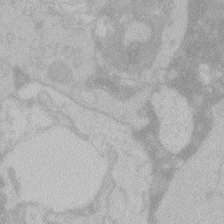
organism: Zebrafish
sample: Macrophage infected with Toxoplasma gondii